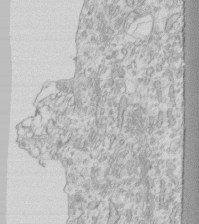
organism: Human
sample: Fibroblast cells